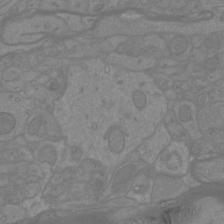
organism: Mouse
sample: Cortical neurons